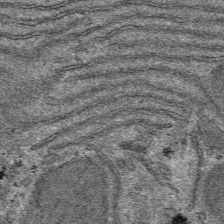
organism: Mouse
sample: Mouse hepatocytes